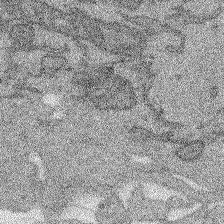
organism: Human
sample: HeLa cells